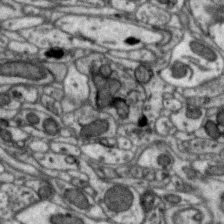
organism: Zebra finch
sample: Brain